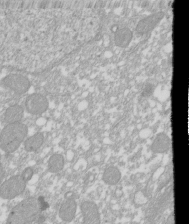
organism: Xenopus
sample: Cilia; centrioles in frog embryo cells